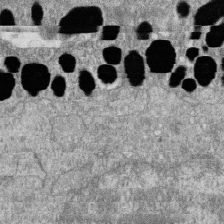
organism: Zebrafish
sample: Cilia; retinal pigment epithelium